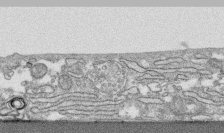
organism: Human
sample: CRL-1474